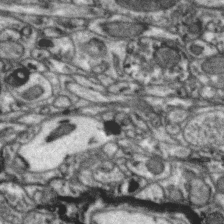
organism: Zebra finch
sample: Brain